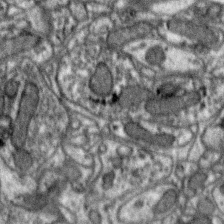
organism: Zebra finch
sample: Brain